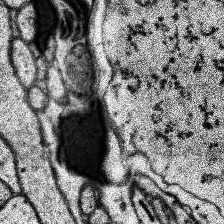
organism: Human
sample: Temporal Lobe